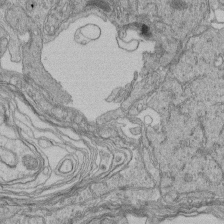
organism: Human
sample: Retinal organoid Rod and Cone cells